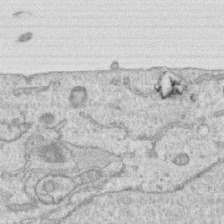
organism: Human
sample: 1205lu cells